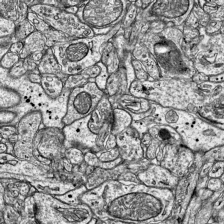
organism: Mouse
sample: Visual Cortex